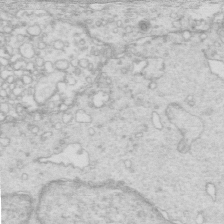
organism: Mouse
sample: Multiciliated cells